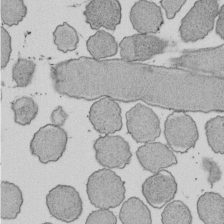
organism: E. coli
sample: Bacterial nucleoid